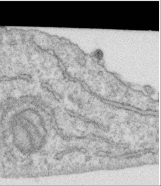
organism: Human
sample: Centriole in RPE cells